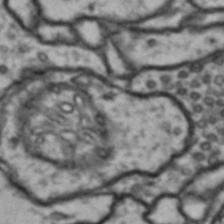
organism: Drosophila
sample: Brain